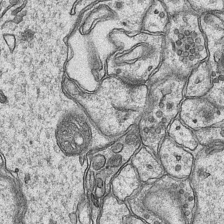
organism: Mouse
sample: CA1 Hippocampus